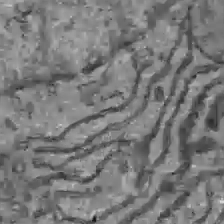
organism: C57BL Mouse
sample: Liver